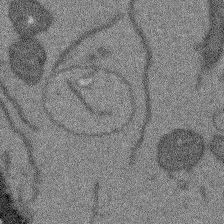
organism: Arabidopsis thaliana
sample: Root tip